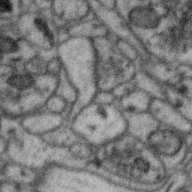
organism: Zebra finch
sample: Brain